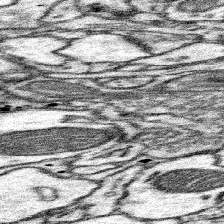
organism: Mouse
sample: Somatosensory cortex neuropil